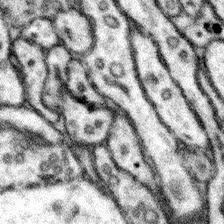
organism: Mouse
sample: Somatosensory cortex neuropil